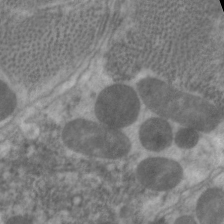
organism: C. elegans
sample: Pharynx